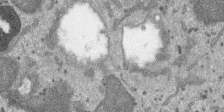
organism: Human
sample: Lung epithelial cells infected with SARS-CoV-2